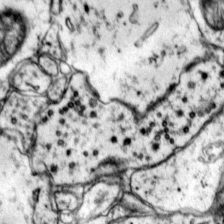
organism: Mouse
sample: Primary visual cortex